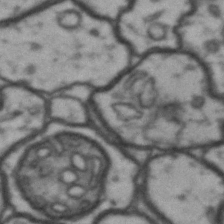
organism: Drosophila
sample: Brain